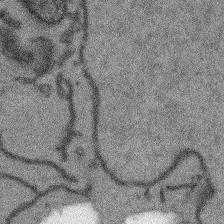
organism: Arabidopsis thaliana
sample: Root tip